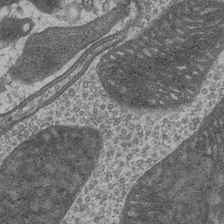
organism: Drosophila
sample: Optic medulla